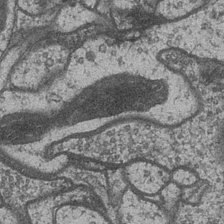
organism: Drosophila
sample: Optic medulla